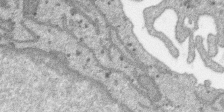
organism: Human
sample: Lung epithelial cells infected with SARS-CoV-2